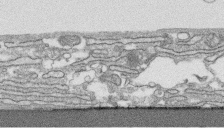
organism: Human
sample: CRL-1474